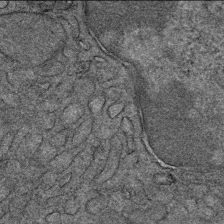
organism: Mouse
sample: Mouse Salivary gland